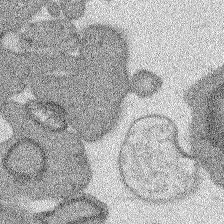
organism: Human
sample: HeLa cells